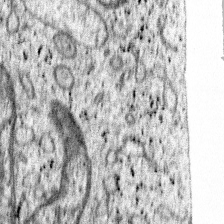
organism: Human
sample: HeLa cells